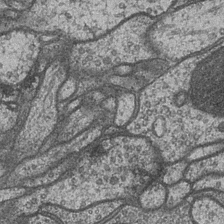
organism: Drosophila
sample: Optic medulla